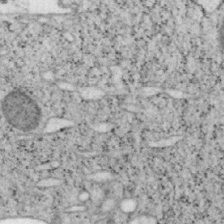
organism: Mouse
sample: OT-I killer T cells with ID8 ovarian cancer cells